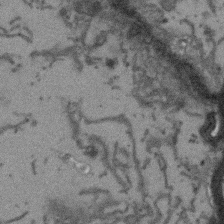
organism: Arabidopsis thaliana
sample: Root tip